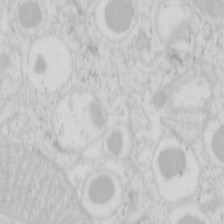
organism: Mouse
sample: Pancreas